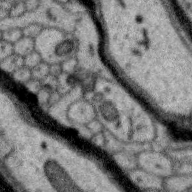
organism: Zebra finch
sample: Brain